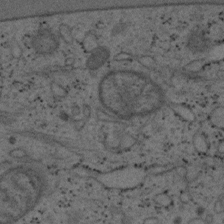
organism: Human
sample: HeLa cells